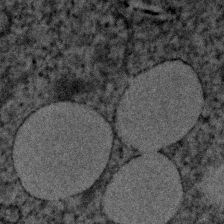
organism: Human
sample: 1205lu cells